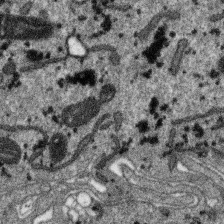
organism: Human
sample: Lung epithelial cells infected with SARS-CoV-2